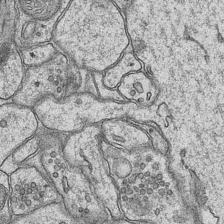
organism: Mouse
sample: CA1 Hippocampus